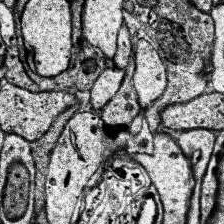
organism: Human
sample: Temporal Lobe